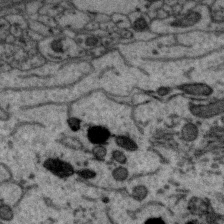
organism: Zebra finch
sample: Brain